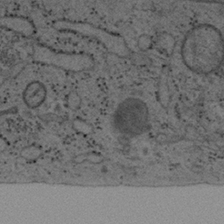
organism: Human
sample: HeLa cells